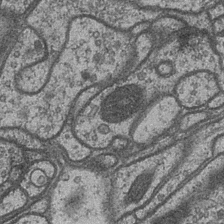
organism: Drosophila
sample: Optic medulla